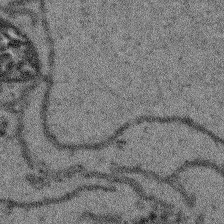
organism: Arabidopsis thaliana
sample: Root tip